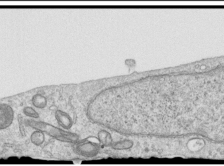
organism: Human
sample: Centriole in RPE cells